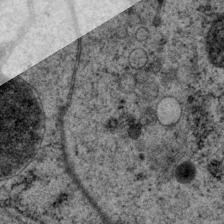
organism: P. pacificus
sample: Pharynx